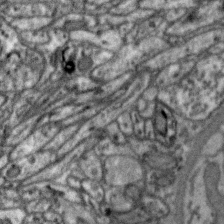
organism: Zebra finch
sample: Brain